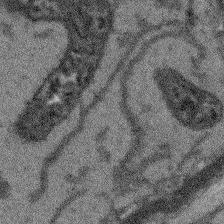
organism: Arabidopsis thaliana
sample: Root tip